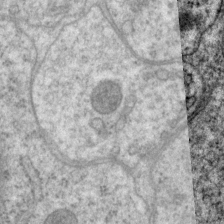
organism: P. pacificus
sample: Pharynx